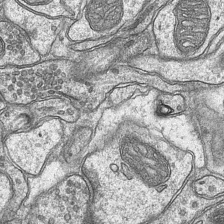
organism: Mouse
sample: CA1 Hippocampus